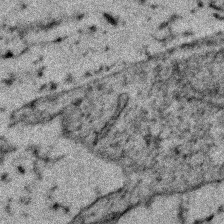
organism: Zebrafish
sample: Zebrafish embryo